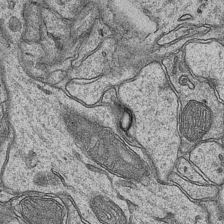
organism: Mouse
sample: CA1 Hippocampus